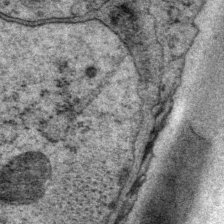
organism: P. pacificus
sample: Pharynx